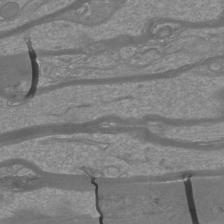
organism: Mouse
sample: Cortical neurons